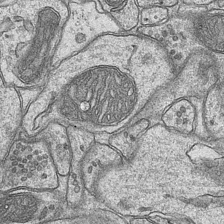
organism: Mouse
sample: CA1 Hippocampus